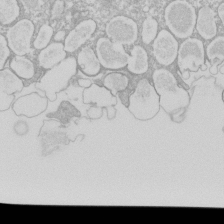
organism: Xenopus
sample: Cilia; centrioles in frog embryo cells